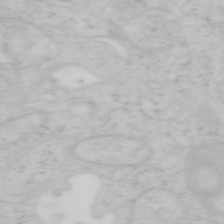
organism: Mouse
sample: OT-I killer T cells with ID8 ovarian cancer cells